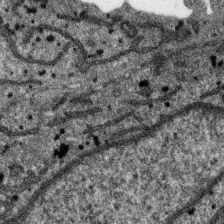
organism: Human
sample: Lung epithelial cells infected with SARS-CoV-2